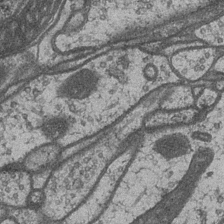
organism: Drosophila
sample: Optic medulla